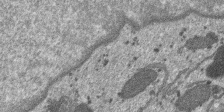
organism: Human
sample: Lung epithelial cells infected with SARS-CoV-2